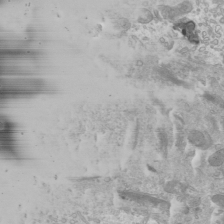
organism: Mouse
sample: Cilia; mouse epididymis